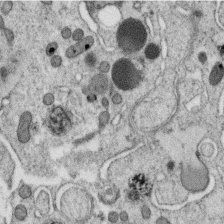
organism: C. elegans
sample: C. elegans oocyte; sperm cells